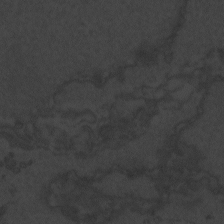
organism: Zebrafish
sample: Macrophage infected with Toxoplasma gondii